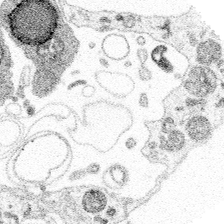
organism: Spongilla lacustris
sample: Multiple